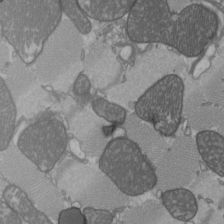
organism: C57BL Mouse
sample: Heart